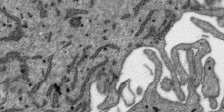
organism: Human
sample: Lung epithelial cells, uninfected (mock) control